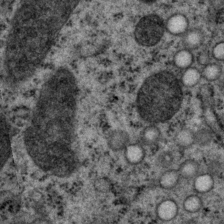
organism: P. pacificus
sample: Pharynx